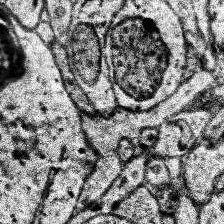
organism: Human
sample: Temporal Lobe